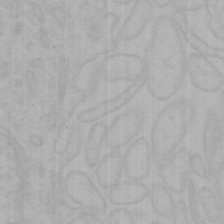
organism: Mouse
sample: Choroid plexus